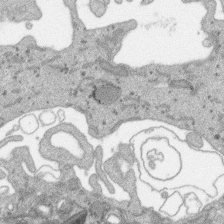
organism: Human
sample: Lung epithelial cells infected with SARS-CoV-2